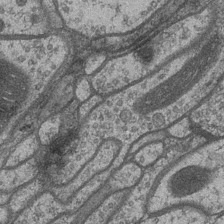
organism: Drosophila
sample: Optic medulla